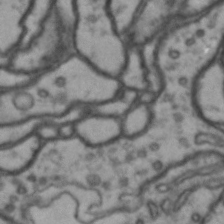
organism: Drosophila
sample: Brain